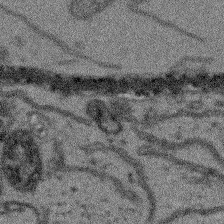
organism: Arabidopsis thaliana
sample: Root tip